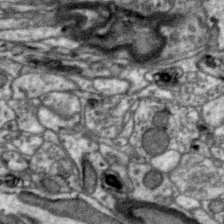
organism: Zebra finch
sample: Brain